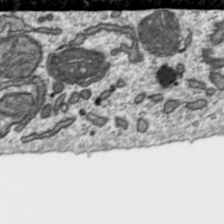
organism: Toxoplasma gondii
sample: Parasites in a vacuole inside a host cell